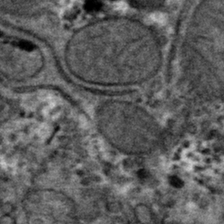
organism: Mouse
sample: Mouse hepatocytes